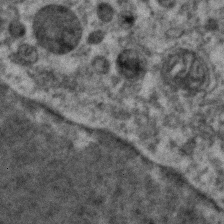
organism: Zebrafish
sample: Zebrafish embryo